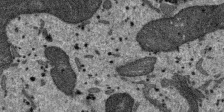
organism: Human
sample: Lung epithelial cells, uninfected (mock) control